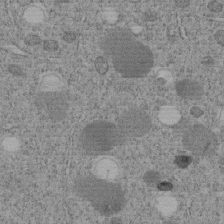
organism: C. elegans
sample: C. elegans embryo early stage